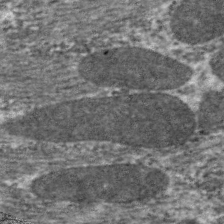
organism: C. elegans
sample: Pharynx